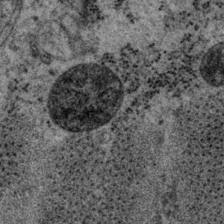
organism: P. pacificus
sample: Pharynx